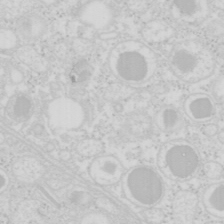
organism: Mouse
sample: Pancreas